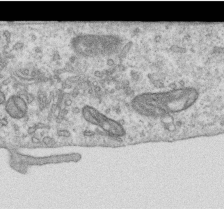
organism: Human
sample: Centriole in RPE cells